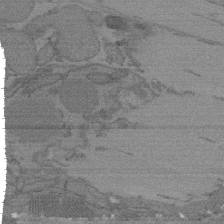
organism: C. elegans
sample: AFD neurons C. elegans